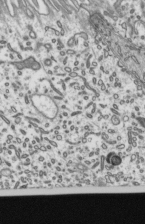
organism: Mouse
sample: Mouse epididymis efferent ductule cilia